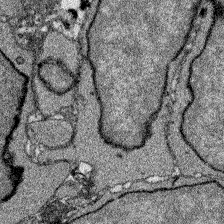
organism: Zebrafish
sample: Larval olfactory bulb